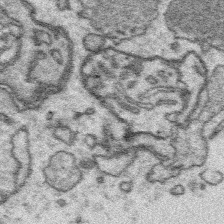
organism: Platynereis dumerilii